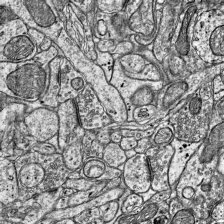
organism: Mouse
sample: Visual Cortex